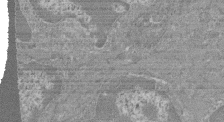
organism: Mouse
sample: Glomerulus